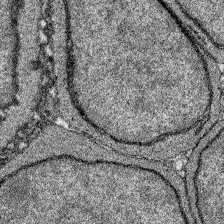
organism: Zebrafish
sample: Larval olfactory bulb